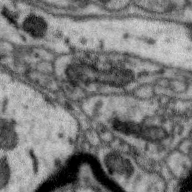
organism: Zebra finch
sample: Brain